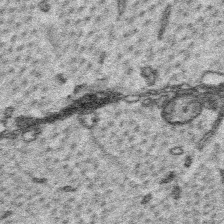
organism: Platynereis dumerilii